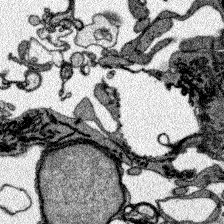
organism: Zebrafish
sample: Larval olfactory bulb